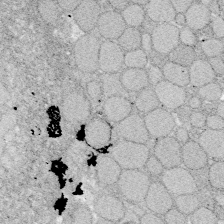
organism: Zebrafish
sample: Whole-Brain